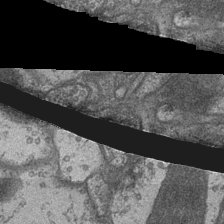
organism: Drosophila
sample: Optic medulla